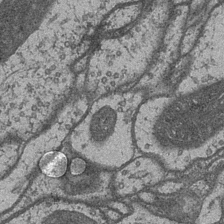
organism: Drosophila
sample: Optic medulla